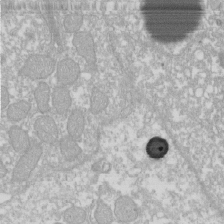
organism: Xenopus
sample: Cilia; centrioles in frog embryo cells